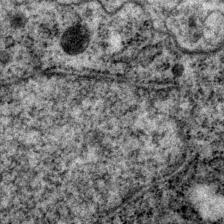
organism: P. pacificus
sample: Pharynx